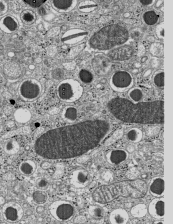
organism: C57BL Mouse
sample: Pancreatic islet